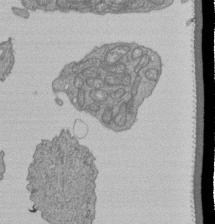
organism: Human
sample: Retinal organoid Rod and Cone cells